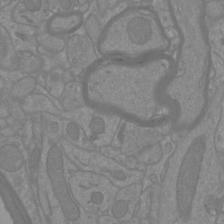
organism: Mouse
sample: Cortical neurons